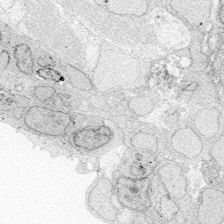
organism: Zebrafish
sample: Whole-Brain